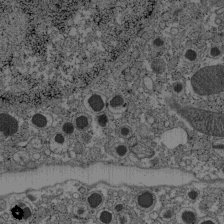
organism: C57BL Mouse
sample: Pancreatic islet